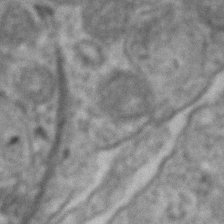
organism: Human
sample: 1205lu cells